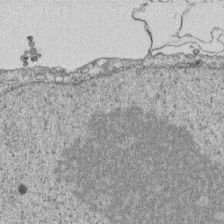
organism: Human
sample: HeLa cell HIV synapse